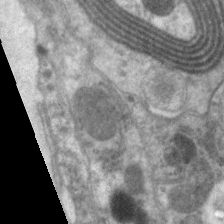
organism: C. elegans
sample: Pharynx